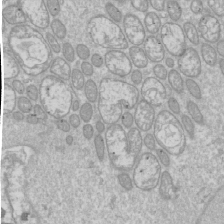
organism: Drosophila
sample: Cell division; meiosis; drosophila spermatocytes